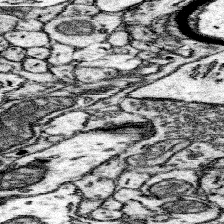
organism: Mouse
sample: Somatosensory cortex neuropil